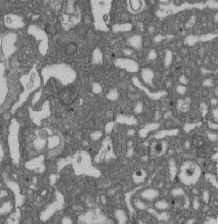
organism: Drosophila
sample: Nephrocyte